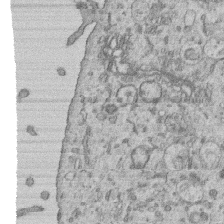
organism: Human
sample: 1205lu cells